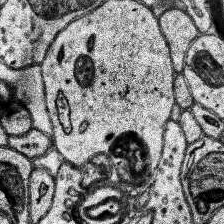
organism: Human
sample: Temporal Lobe